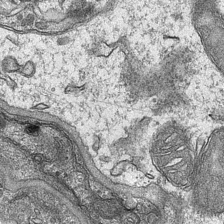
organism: Mouse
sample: CA1 Hippocampus